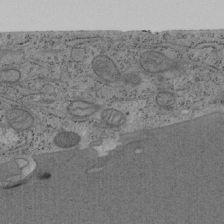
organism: Human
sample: HeLa cells